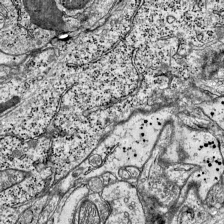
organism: Mouse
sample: Visual Cortex